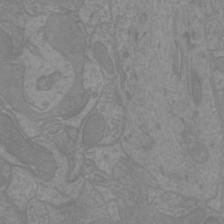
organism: Mouse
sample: Cortical neurons